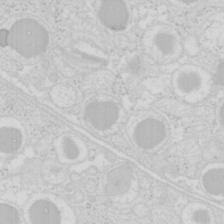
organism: Mouse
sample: Pancreas